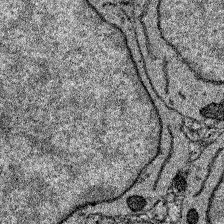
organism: Zebrafish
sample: Larval olfactory bulb